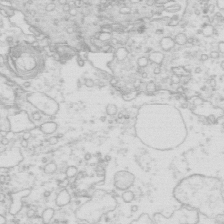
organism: Mouse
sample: Multiciliated cells